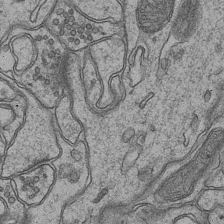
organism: Mouse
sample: CA1 Hippocampus